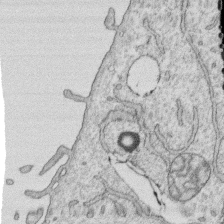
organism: Human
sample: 1205lu cells